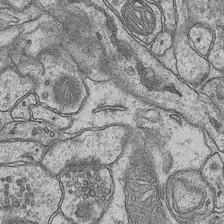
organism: Mouse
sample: CA1 Hippocampus